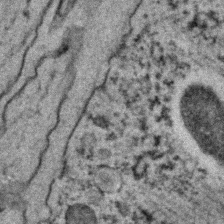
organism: C. elegans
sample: C. elegans embryo